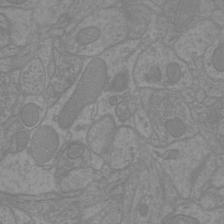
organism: Mouse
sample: Cortical neurons